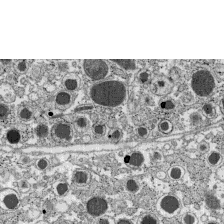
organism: C57BL Mouse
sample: Pancreatic islet